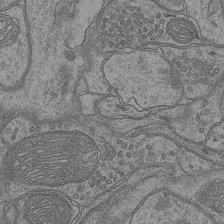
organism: Mouse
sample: CA1 Hippocampus